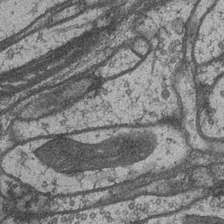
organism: Drosophila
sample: Optic medulla